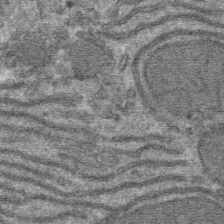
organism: Mouse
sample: Mouse hepatocytes